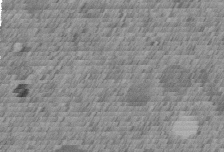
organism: C. elegans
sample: C. elegans embryo early stage